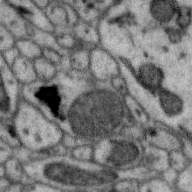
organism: Zebra finch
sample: Brain